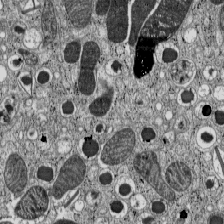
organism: C57BL Mouse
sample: Pancreatic islet